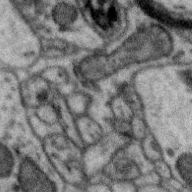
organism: Zebra finch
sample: Brain